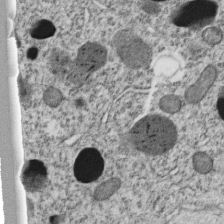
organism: C. elegans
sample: C. elegans embryo early stage